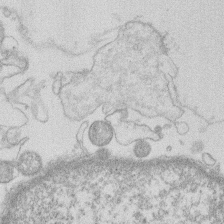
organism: Human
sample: Macrophage cells